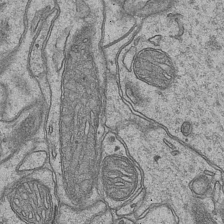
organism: Mouse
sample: CA1 Hippocampus